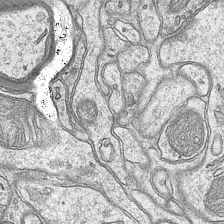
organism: Mouse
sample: CA1 Hippocampus